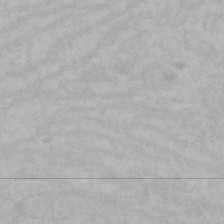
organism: Mouse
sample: Choroid plexus